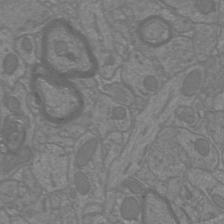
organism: Mouse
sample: Cortical neurons